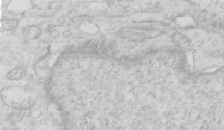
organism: Mouse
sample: Multiciliated cells